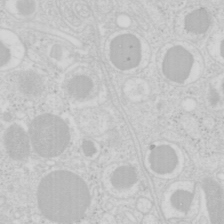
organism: Mouse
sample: Pancreas